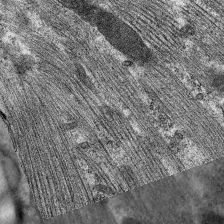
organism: C. elegans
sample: Pharynx